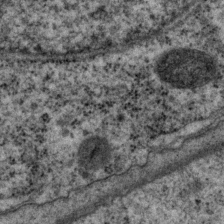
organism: P. pacificus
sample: Pharynx